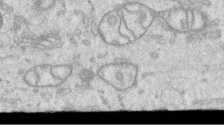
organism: Human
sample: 1205lu cells